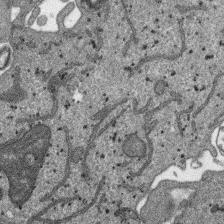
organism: Human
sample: Lung epithelial cells infected with SARS-CoV-2